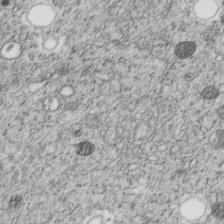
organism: C. elegans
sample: C. elegans embryo early stage